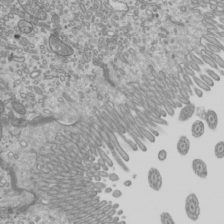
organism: Mouse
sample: Cilia; mouse epididymis